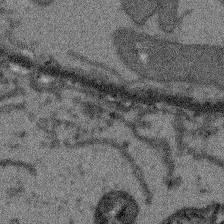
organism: Arabidopsis thaliana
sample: Root tip